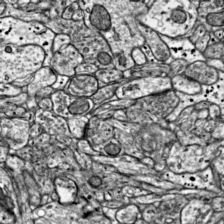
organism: Mouse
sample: Visual Cortex